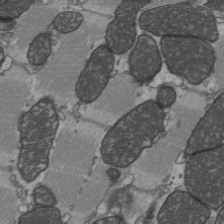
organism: C57BL Mouse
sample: Heart